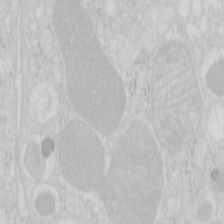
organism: Mouse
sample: Pancreas